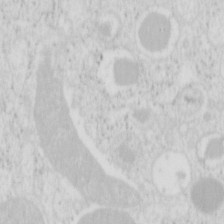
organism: Mouse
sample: Pancreas